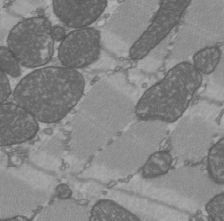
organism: C57BL Mouse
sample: Heart